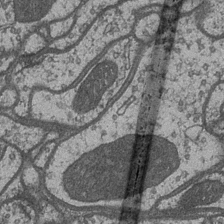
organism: Drosophila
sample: Optic medulla